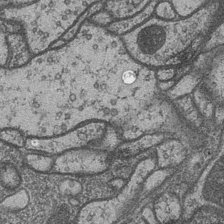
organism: Drosophila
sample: Optic medulla